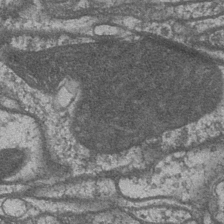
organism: Drosophila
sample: Optic medulla